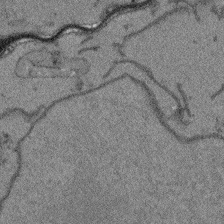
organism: Arabidopsis thaliana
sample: Root tip